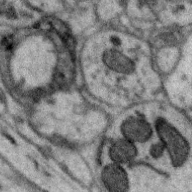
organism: Zebra finch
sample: Brain